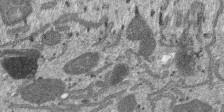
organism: Human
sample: Lung epithelial cells infected with SARS-CoV-2